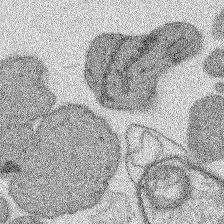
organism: Human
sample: HeLa cells